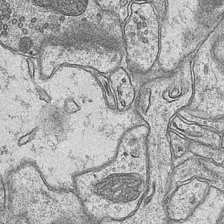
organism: Mouse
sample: CA1 Hippocampus